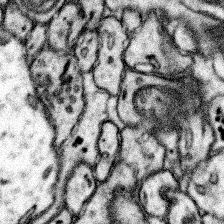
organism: Mouse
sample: Somatosensory cortex neuropil